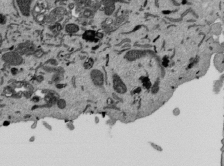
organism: Mouse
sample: ED-1 cell nuclei; centrioles